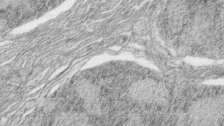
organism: Zebrafish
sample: synaptic ribbons in rod cells and cone cells